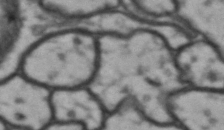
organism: Drosophila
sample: Brain